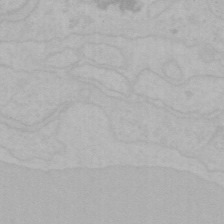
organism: Mouse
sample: Choroid plexus